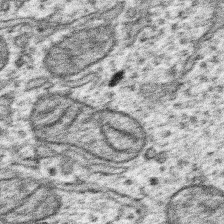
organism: Human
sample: HeLa cells